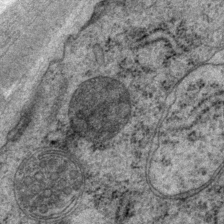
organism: P. pacificus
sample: Pharynx